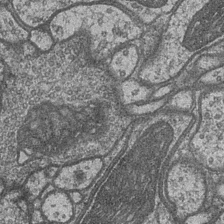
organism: Drosophila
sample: Optic medulla